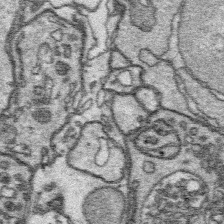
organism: Platynereis dumerilii